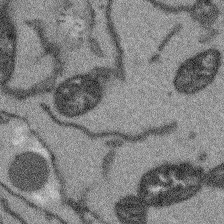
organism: Arabidopsis thaliana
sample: Root tip